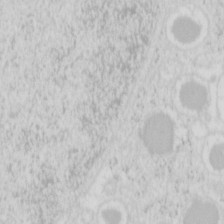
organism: Mouse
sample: Pancreas